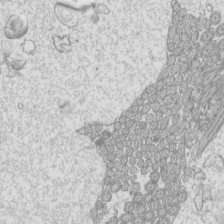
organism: Mouse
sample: Cilia; mouse epididymis